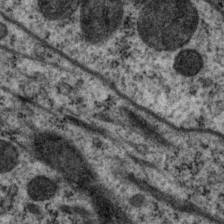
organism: P. pacificus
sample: Pharynx